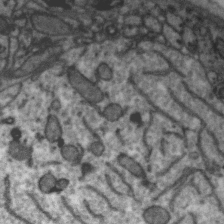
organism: Zebra finch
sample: Brain